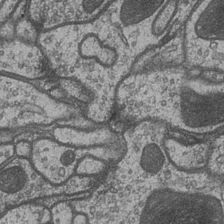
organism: Drosophila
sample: Optic medulla